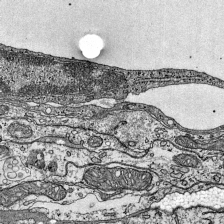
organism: Mouse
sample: Visual Cortex